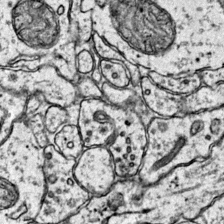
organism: Mouse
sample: Primary visual cortex